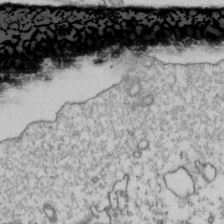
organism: Human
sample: Activated Jurkat CD4+ T cells